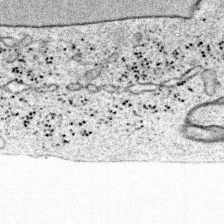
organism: Human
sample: HeLa cells